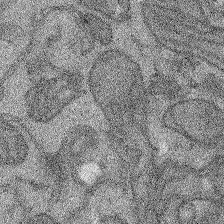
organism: Human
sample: HeLa cells